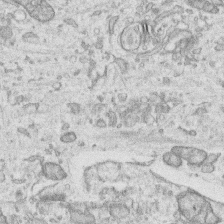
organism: Human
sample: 1205lu cells